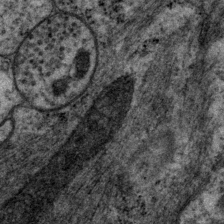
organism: P. pacificus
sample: Pharynx